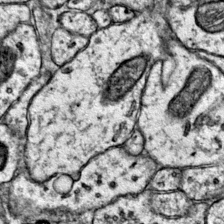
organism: Mouse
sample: Primary visual cortex